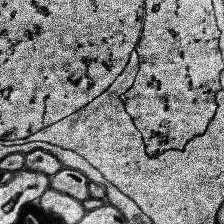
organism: Human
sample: Temporal Lobe